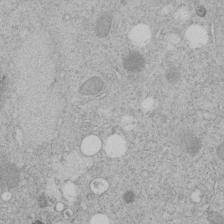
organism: C. elegans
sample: C. elegans embryo early stage